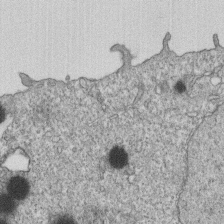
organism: Human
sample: HeLa cell HIV synapse